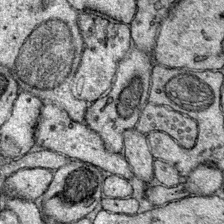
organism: Mouse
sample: Primary visual cortex